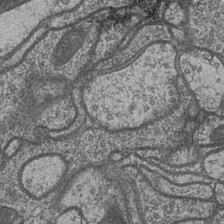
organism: Drosophila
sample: Optic medulla